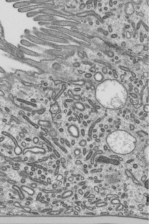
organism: Mouse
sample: Mouse epididymis efferent ductule cilia